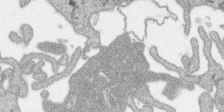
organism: Human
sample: Lung epithelial cells infected with SARS-CoV-2